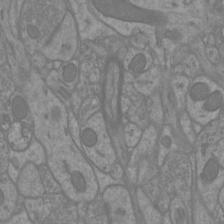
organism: Mouse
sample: Cortical neurons